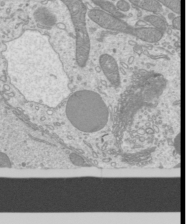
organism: Mouse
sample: Cilia; mouse epididymis